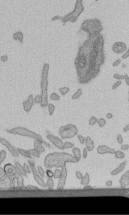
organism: Human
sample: Retinal organoid Rod and Cone cells